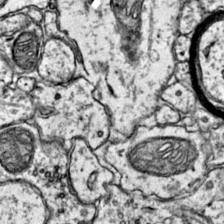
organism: Mouse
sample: Primary visual cortex